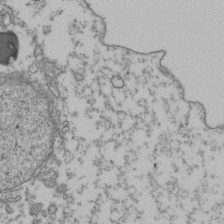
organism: Human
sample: Activated Jurkat CD4+ T cells